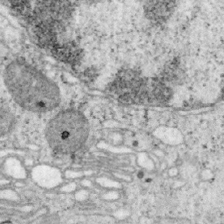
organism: Mouse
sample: OT-I killer T cells with ID8 ovarian cancer cells